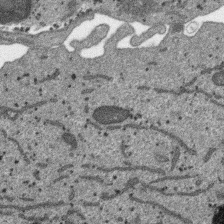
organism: Human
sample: Lung epithelial cells infected with SARS-CoV-2